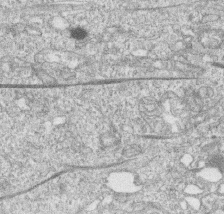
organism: Human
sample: HeLa cell HIV synapse